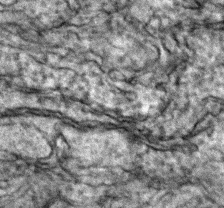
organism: Zebrafish